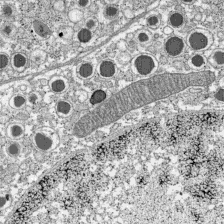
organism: C57BL Mouse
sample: Pancreatic islet